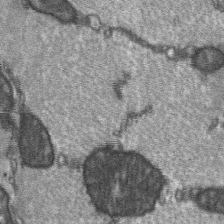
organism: C57BL Mouse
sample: Soleus